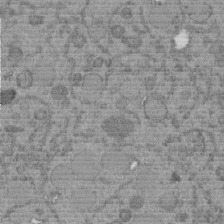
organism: C. elegans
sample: C. elegans embryo early stage